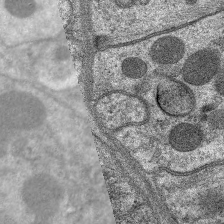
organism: C. elegans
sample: Pharynx